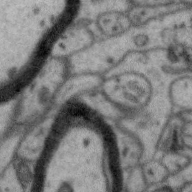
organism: Zebra finch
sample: Brain